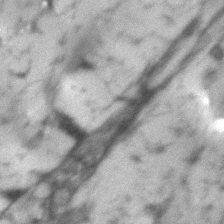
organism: Human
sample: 1205lu cells